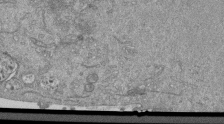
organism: Mouse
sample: ED-1 cell nuclei; centrioles